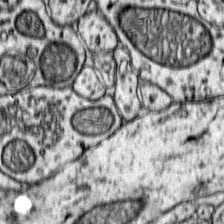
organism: Mouse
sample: Primary visual cortex